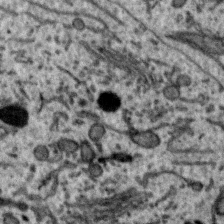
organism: Zebra finch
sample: Brain